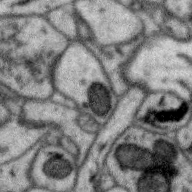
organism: Zebra finch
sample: Brain